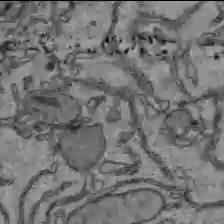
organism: C57BL Mouse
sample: Liver